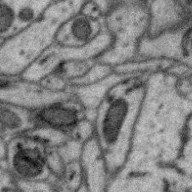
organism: Zebra finch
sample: Brain